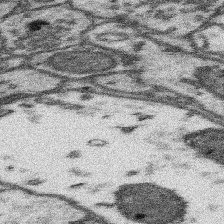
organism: Mouse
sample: Somatosensory cortex neuropil